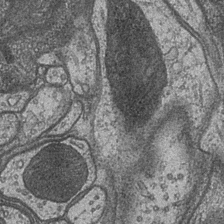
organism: Drosophila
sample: Optic medulla